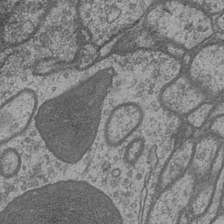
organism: Drosophila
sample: Optic medulla